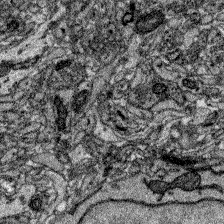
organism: Zebrafish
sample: Larval olfactory bulb